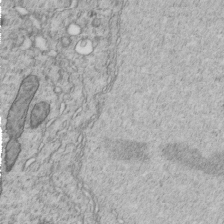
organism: C. elegans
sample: C. elegans embryo early stage